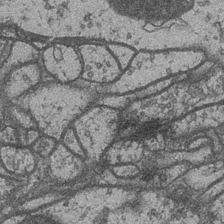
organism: Drosophila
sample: Optic medulla